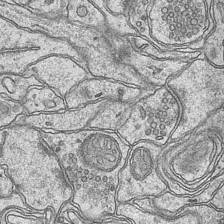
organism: Mouse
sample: CA1 Hippocampus